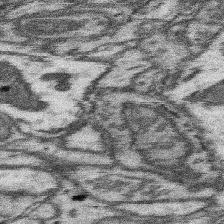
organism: Mouse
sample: Somatosensory cortex neuropil